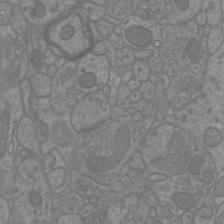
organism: Mouse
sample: Cortical neurons